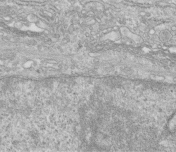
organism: Human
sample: Centriole in fibroblast cells